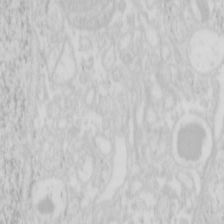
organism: Mouse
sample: Pancreas